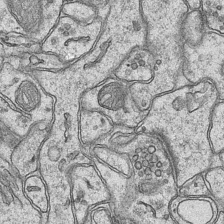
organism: Mouse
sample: CA1 Hippocampus